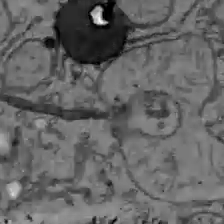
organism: C57BL Mouse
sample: Liver